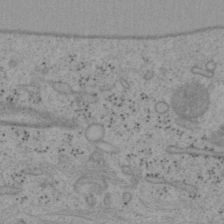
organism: Human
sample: HeLa cells